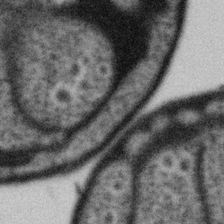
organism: Gemmata obscuriglobus